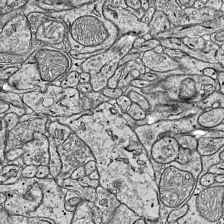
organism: Mouse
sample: Visual Cortex